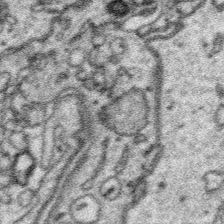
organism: Platynereis dumerilii